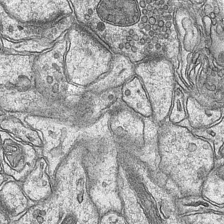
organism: Mouse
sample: CA1 Hippocampus